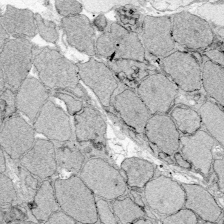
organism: Zebrafish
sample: Whole-Brain